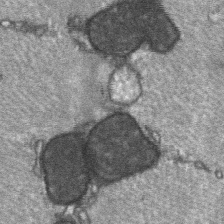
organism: C57BL Mouse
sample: Soleus